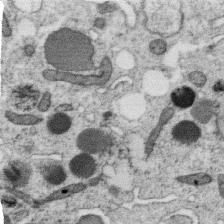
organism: C. elegans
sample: C. elegans oocyte; sperm cells